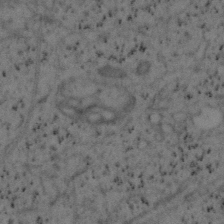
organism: Human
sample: HeLa cells